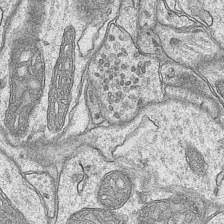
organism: Mouse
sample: CA1 Hippocampus